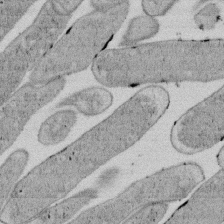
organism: E. coli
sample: Bacterial nucleoid